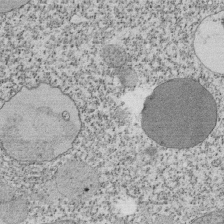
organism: Tetrahymena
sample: Cilia in tetrahymena